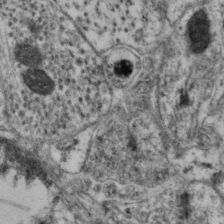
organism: Mouse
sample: Neocortex